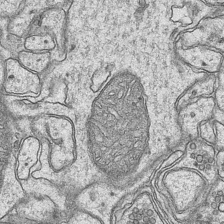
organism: Mouse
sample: CA1 Hippocampus